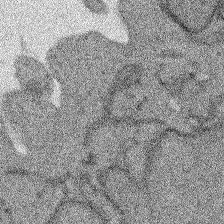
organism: Human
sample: HeLa cells